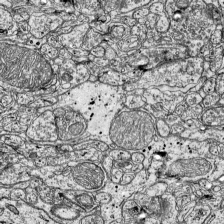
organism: Mouse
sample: Visual Cortex